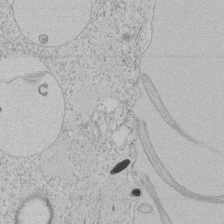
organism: Tetrahymena